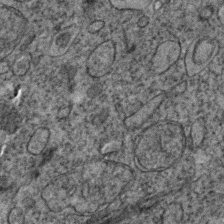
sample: Trachea